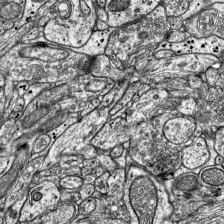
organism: Mouse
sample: Visual Cortex